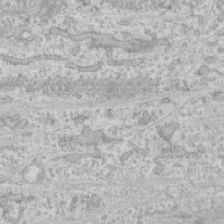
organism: Human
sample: CRL-1474